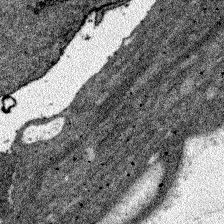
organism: Zebrafish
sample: Larval olfactory bulb